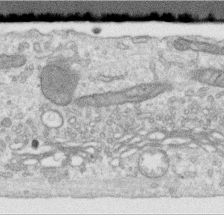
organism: Human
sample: Centriole in RPE cells